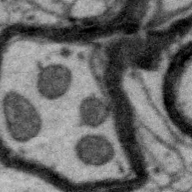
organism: Zebra finch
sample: Brain